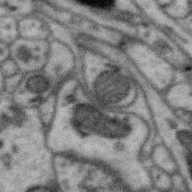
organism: Zebra finch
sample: Brain